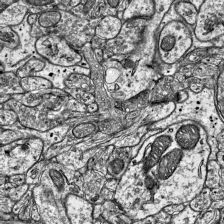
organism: Mouse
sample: Visual Cortex